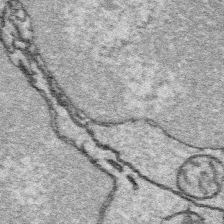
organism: Platynereis dumerilii